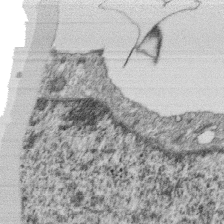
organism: African green monkey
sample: Vero E6 cells infected with SARS-CoV-2